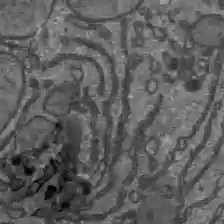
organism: C57BL Mouse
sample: Liver